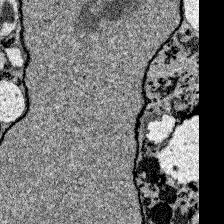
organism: Zebrafish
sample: Larval olfactory bulb